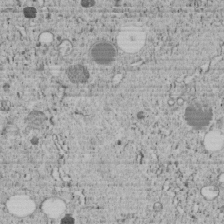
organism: C. elegans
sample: C. elegans embryo early stage